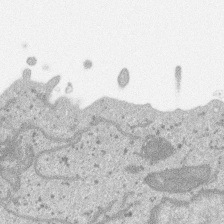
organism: Human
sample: Lung epithelial cells infected with SARS-CoV-2